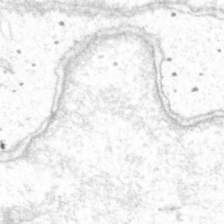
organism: Human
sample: HeLa cells